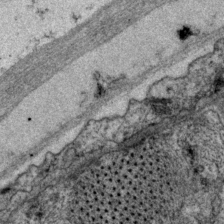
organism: P. pacificus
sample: Pharynx